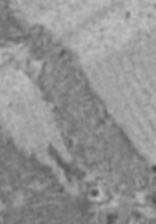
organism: C57BL Mouse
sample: Heart